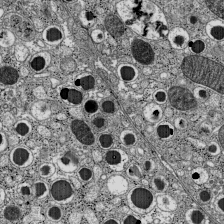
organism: C57BL Mouse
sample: Pancreatic islet